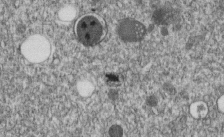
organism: C. elegans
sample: C. elegans embryo early stage